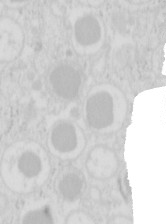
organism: Mouse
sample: Pancreas